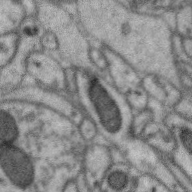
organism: Zebra finch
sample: Brain